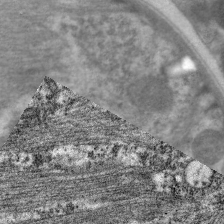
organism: C. elegans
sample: Pharynx